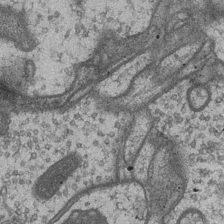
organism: Drosophila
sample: Optic medulla